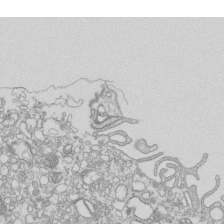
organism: Mouse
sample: Macrophages